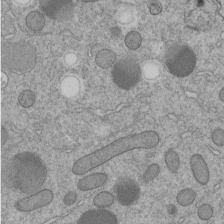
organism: C. elegans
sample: C. elegans embryo early stage